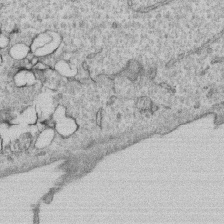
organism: Human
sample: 1205lu cells